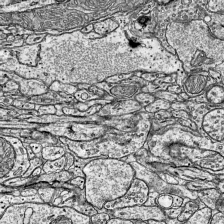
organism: Mouse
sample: Visual Cortex